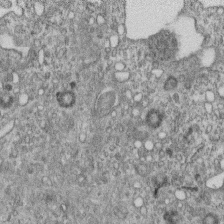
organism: Mouse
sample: Centriole in ependymal cells